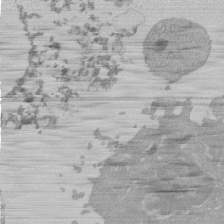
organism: Mouse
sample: Activated Pmel transgenic CD8+ T Cells